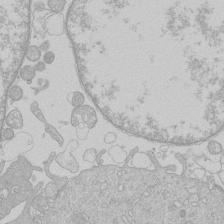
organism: Human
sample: Macrophage cells